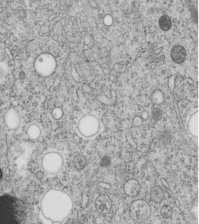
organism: C. elegans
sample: C. elegans embryo early stage